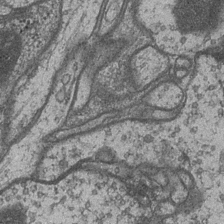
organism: Drosophila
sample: Optic medulla